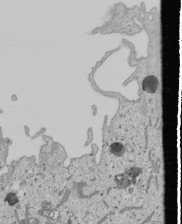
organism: Human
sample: Mitochondria in U2OS cells